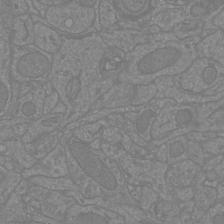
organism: Mouse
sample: Cortical neurons